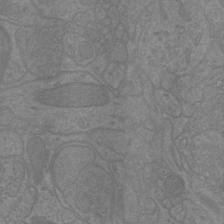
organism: Mouse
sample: Cortical neurons